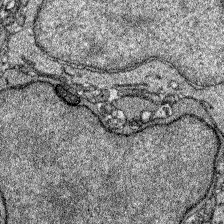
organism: Zebrafish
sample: Larval olfactory bulb